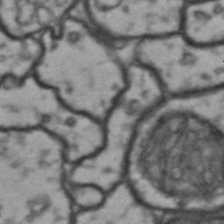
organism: Drosophila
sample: Brain